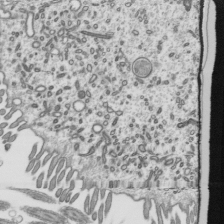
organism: Mouse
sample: Mouse epididymis efferent ductule cilia